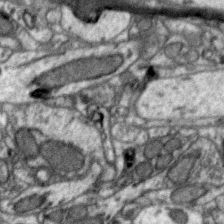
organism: Zebra finch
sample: Brain